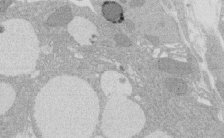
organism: Rat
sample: Salivary granule